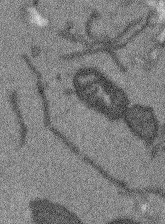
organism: Arabidopsis thaliana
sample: Root tip